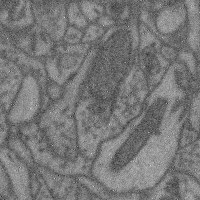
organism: Mouse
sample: Cerebral cortex